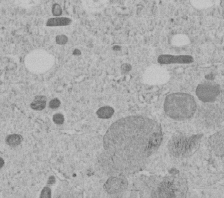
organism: C. elegans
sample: C. elegans embryo early stage